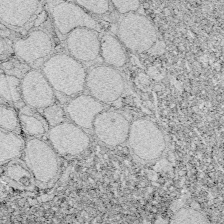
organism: Zebrafish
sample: Whole-Brain